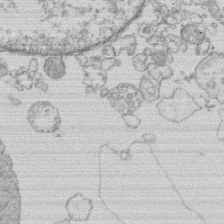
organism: Human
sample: Macrophage cells